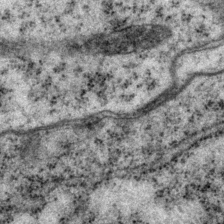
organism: P. pacificus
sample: Pharynx